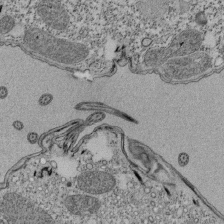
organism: Tetrahymena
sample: Cilia in tetrahymena